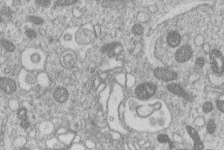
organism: Human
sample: Macrophage cells